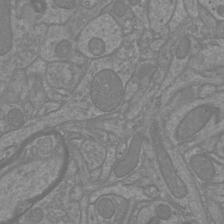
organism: Mouse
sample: Cortical neurons